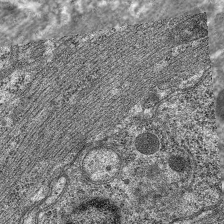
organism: C. elegans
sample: Pharynx